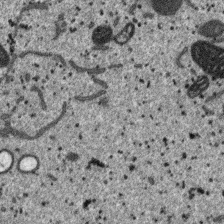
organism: Human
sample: Lung epithelial cells infected with SARS-CoV-2